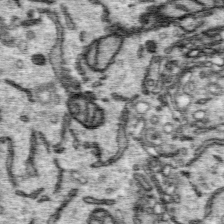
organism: Human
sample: HeLa cells